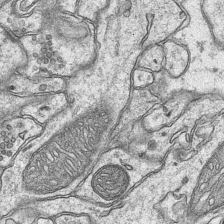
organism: Mouse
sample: CA1 Hippocampus